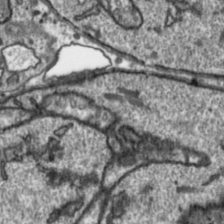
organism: Toxoplasma gondii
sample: Parasites in a vacuole inside a host cell